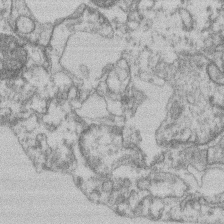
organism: Mouse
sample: T cell stromal cell synapse